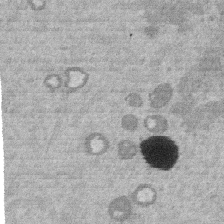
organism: Mouse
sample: Dividing mouse embryo 1 cell stage